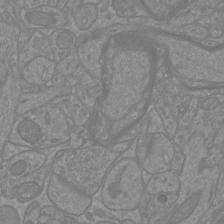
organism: Mouse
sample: Cortical neurons